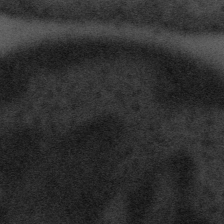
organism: Tuwongella immobilis